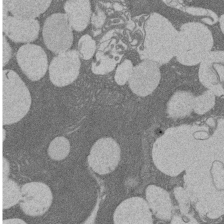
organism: Rat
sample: Salivary granule